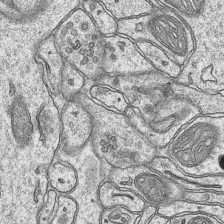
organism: Mouse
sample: CA1 Hippocampus